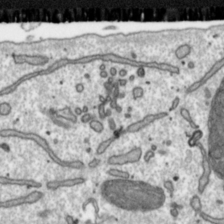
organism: Toxoplasma gondii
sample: Parasites in a vacuole inside a host cell